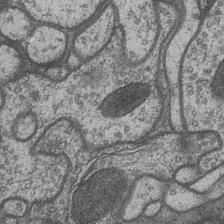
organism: Drosophila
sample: Optic medulla